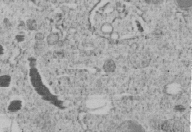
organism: C. elegans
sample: C. elegans embryo early stage